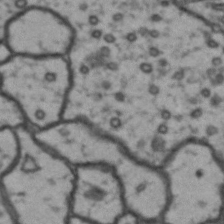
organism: Drosophila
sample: Brain